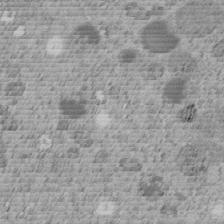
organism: C. elegans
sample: C. elegans embryo early stage